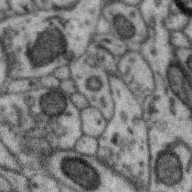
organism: Zebra finch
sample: Brain